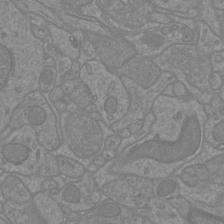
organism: Mouse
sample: Cortical neurons